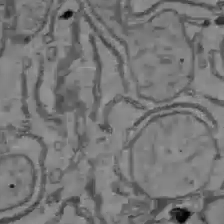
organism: C57BL Mouse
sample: Liver